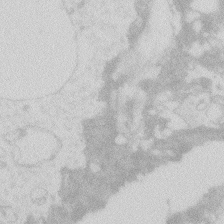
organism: Zebrafish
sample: Macrophage